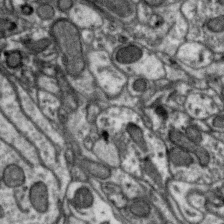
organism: Zebra finch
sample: Brain